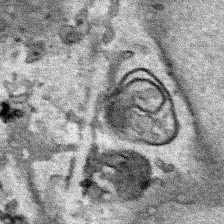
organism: Human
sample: Mitochondria in HCT116 cells